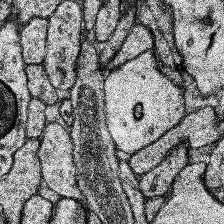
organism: Human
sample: Temporal Lobe